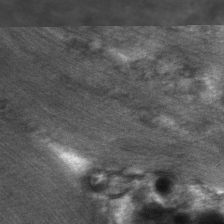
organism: C. elegans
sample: Pharynx